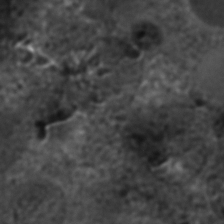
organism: C. elegans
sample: C. elegans embryo